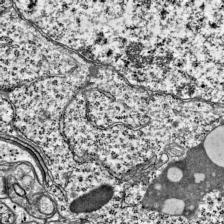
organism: Mouse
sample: Visual Cortex